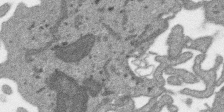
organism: Human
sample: Lung epithelial cells infected with SARS-CoV-2